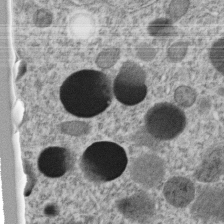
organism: C. elegans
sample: C. elegans embryo early stage